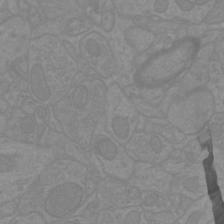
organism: Mouse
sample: Cortical neurons